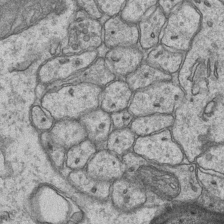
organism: Mouse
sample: CA1 Hippocampus